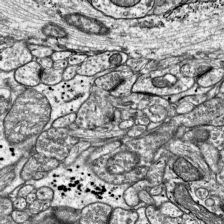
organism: Mouse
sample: Visual Cortex